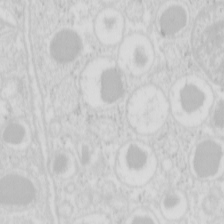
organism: Mouse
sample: Pancreas